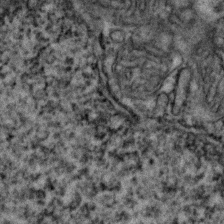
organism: Zebrafish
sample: Zebrafish embryo